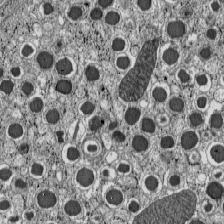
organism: C57BL Mouse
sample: Pancreatic islet